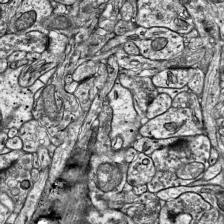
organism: Mouse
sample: Visual Cortex